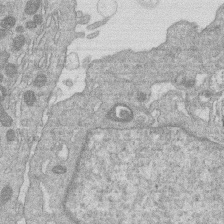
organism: Human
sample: Macrophage cells